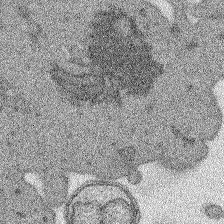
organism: Human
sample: HeLa cells